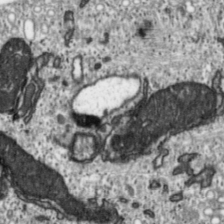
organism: Toxoplasma gondii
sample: Parasites in a vacuole inside a host cell